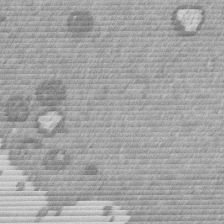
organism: Mouse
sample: Dividing mouse embryo 1 cell stage